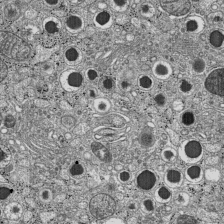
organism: C57BL Mouse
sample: Pancreatic islet